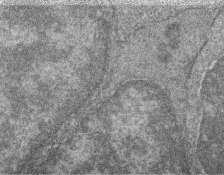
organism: Zebrafish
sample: Cilia; retinal pigment epithelium